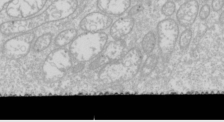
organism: Drosophila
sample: Cell division; meiosis; drosophila spermatocytes